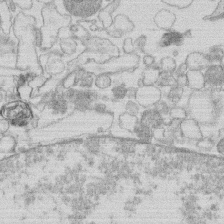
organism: Human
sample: Macrophage cells